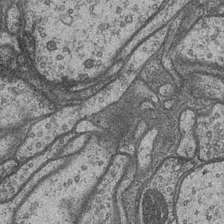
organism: Drosophila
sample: Optic medulla